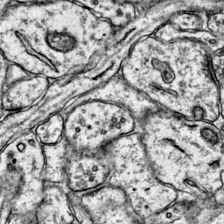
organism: Mouse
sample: Primary visual cortex